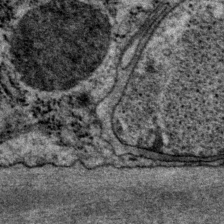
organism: P. pacificus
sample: Pharynx